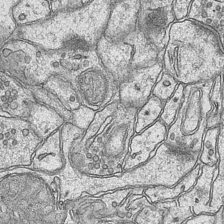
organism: Mouse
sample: CA1 Hippocampus